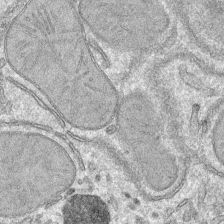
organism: Mouse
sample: Mouse hepatocytes